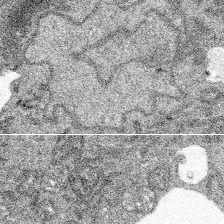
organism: Spongilla lacustris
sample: Multiple